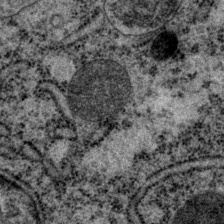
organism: P. pacificus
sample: Pharynx